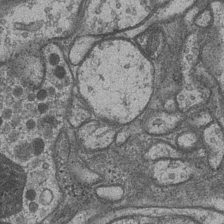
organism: Drosophila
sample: Optic medulla